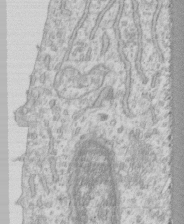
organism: Human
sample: CRL-1474